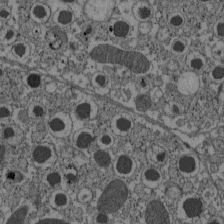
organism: C57BL Mouse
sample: Pancreatic islet